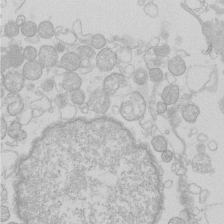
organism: Human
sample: Macrophage cells